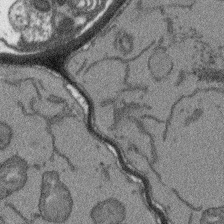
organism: Arabidopsis thaliana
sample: Root tip